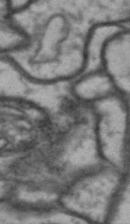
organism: Drosophila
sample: Brain